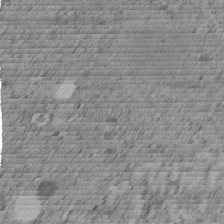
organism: C. elegans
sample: C. elegans embryo early stage